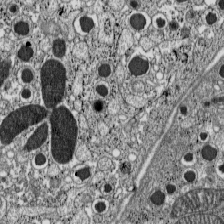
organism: C57BL Mouse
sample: Pancreatic islet